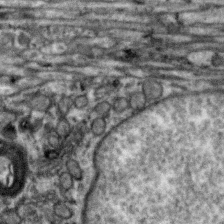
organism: Zebra finch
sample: Brain